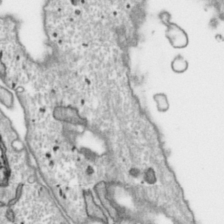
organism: Toxoplasma gondii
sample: Parasites in a vacuole inside a host cell